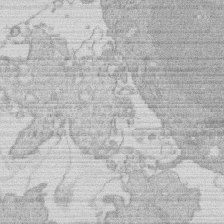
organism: Human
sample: Macrophage cells